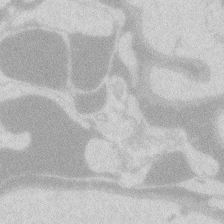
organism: Zebrafish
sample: Macrophage